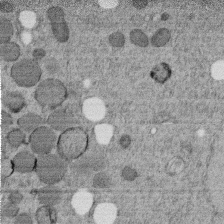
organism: C. elegans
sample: C. elegans embryo early stage